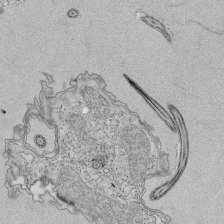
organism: Tetrahymena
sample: Cilia in tetrahymena